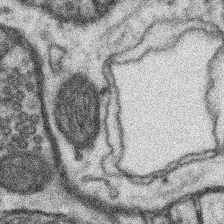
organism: Mouse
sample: Somatosensory cortex neuropil